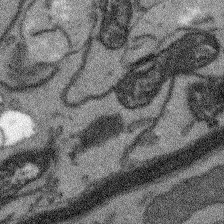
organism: Arabidopsis thaliana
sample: Root tip